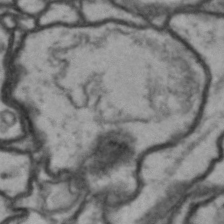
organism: Drosophila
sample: Brain